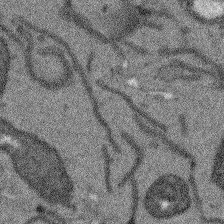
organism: Arabidopsis thaliana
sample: Root tip